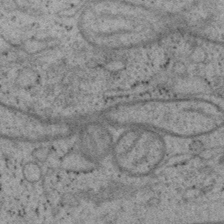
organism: Human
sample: HeLa cells